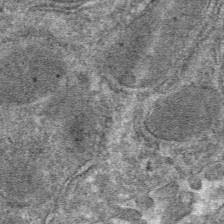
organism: Mouse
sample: Mouse hepatocytes